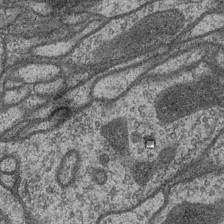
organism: Drosophila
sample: Optic medulla